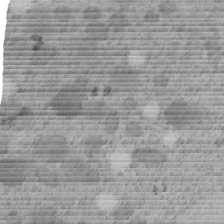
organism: C. elegans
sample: C. elegans embryo early stage